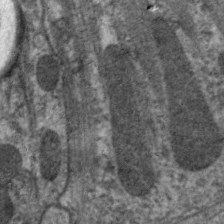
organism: C. elegans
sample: Pharynx